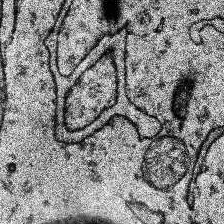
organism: Human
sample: Temporal Lobe